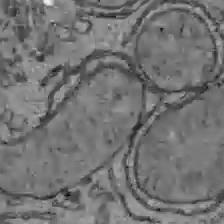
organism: C57BL Mouse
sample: Liver